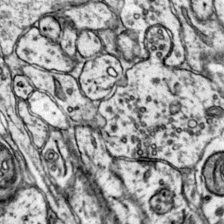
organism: Mouse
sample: Primary visual cortex